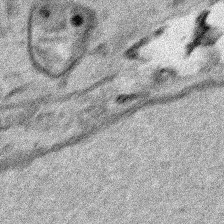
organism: Human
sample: Mitochondria in HCT116 cells